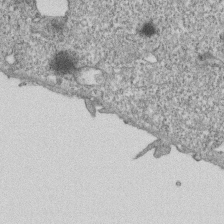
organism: Human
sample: HeLa cell HIV synapse